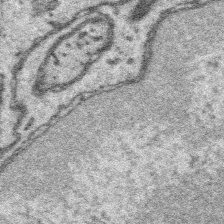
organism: Platynereis dumerilii